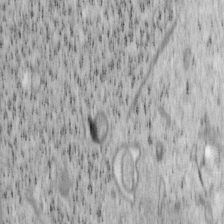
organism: Human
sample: HeLa cells